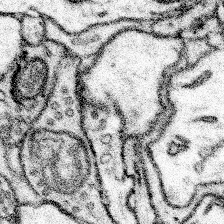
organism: Mouse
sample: Somatosensory cortex neuropil